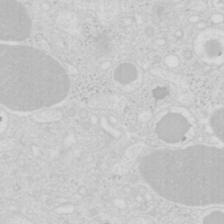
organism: Mouse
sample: Pancreas